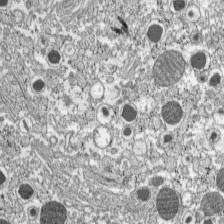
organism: C57BL Mouse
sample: Pancreatic islet